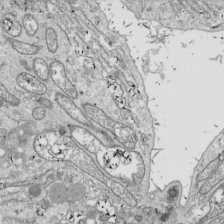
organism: Drosophila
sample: Cell division; meiosis; drosophila spermatocytes